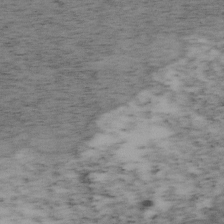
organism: Mouse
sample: OT-I killer T cells with ID8 ovarian cancer cells